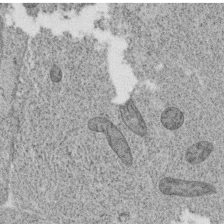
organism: C. elegans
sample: C. elegans oocyte; sperm cells